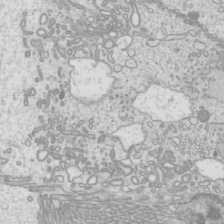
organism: Mouse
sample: Cilia; mouse epididymis